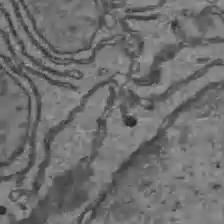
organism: C57BL Mouse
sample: Liver